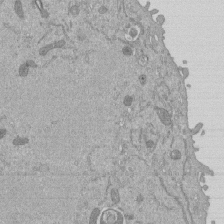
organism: Mouse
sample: ED-1 cell nuclei; centrioles